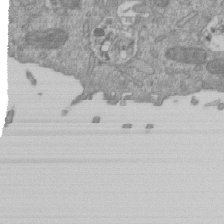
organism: Mouse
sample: ED-1 cell nuclei; centrioles